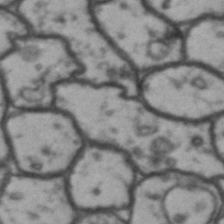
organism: Drosophila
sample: Brain